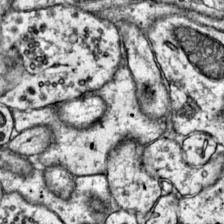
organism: Mouse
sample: Primary visual cortex